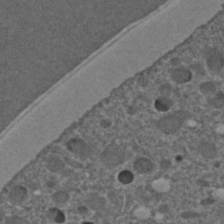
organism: C. elegans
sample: C. elegans embryo